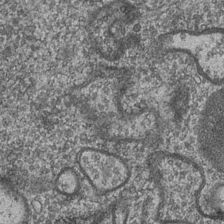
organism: Drosophila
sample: Optic medulla